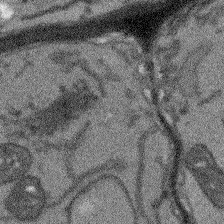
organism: Arabidopsis thaliana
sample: Root tip